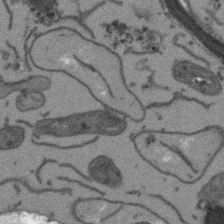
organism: Arabidopsis thaliana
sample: Root tip